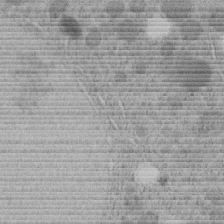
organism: C. elegans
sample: C. elegans embryo early stage